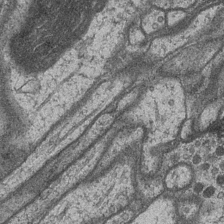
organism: Drosophila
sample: Optic medulla